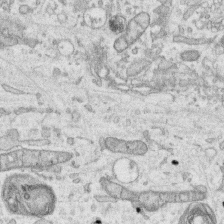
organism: Human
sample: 1205lu cells